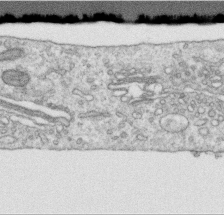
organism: Human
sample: Centriole in RPE cells